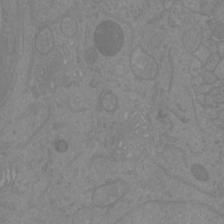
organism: Mouse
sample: Cortical neurons